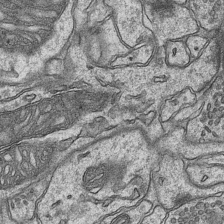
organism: Mouse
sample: CA1 Hippocampus